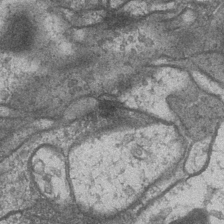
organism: Drosophila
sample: Optic medulla